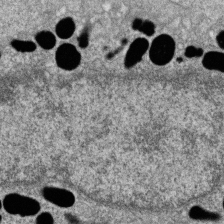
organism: Zebrafish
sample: Cilia; retinal pigment epithelium